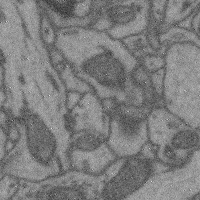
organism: Mouse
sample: Cerebral cortex